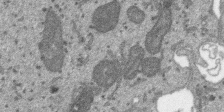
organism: Human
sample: Lung epithelial cells infected with SARS-CoV-2